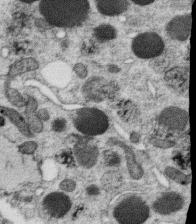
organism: C. elegans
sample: C. elegans oocyte; sperm cells